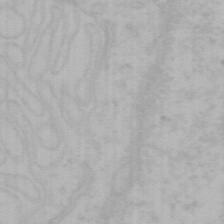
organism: Mouse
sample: Choroid plexus